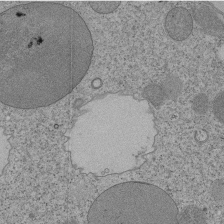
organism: Tetrahymena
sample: Cilia in tetrahymena